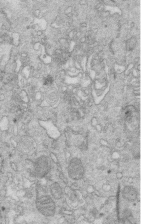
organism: Mouse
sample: Multiciliated cells